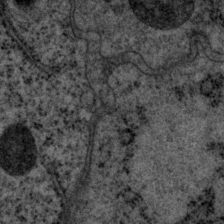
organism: P. pacificus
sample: Pharynx